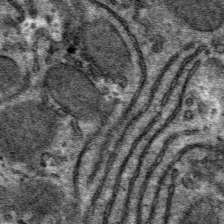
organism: Mouse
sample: Mouse hepatocytes